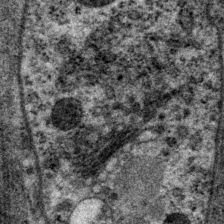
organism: P. pacificus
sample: Pharynx